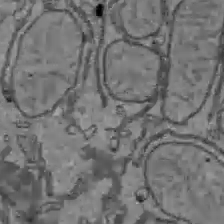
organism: C57BL Mouse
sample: Liver